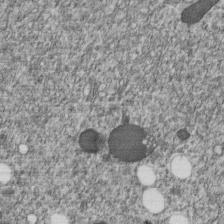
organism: C. elegans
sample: C. elegans embryo early stage